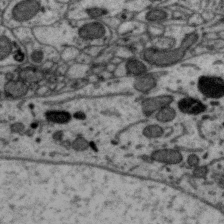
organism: Zebra finch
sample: Brain